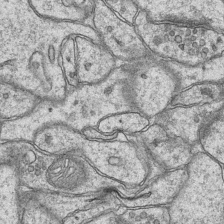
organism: Mouse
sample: CA1 Hippocampus